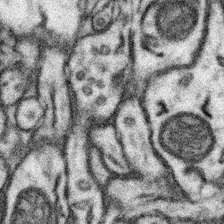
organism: Mouse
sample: Somatosensory cortex neuropil